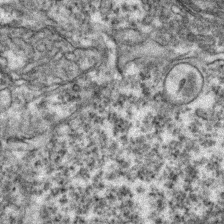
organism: Zebrafish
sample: Zebrafish embryo